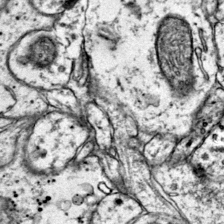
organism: Mouse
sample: Primary visual cortex